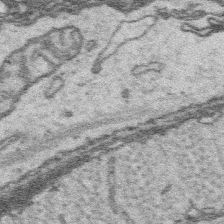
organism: Platynereis dumerilii